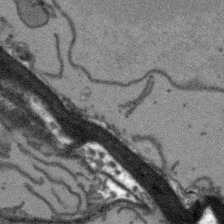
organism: Arabidopsis thaliana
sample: Root tip